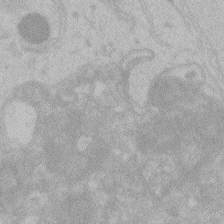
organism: Zebrafish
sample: Macrophage infected with Toxoplasma gondii